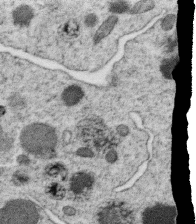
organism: C. elegans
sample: C. elegans oocyte; sperm cells